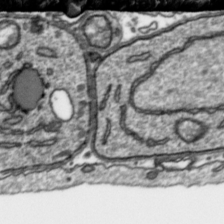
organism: Toxoplasma gondii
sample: Parasites in a vacuole inside a host cell